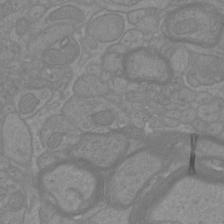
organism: Mouse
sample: Cortical neurons